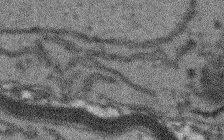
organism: Arabidopsis thaliana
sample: Root tip